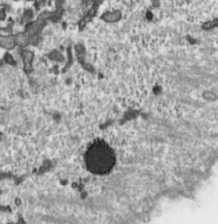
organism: Toxoplasma gondii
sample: Parasites in a vacuole inside a host cell